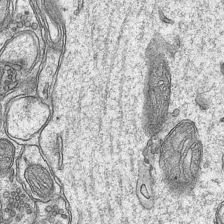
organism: Mouse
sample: CA1 Hippocampus